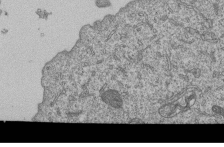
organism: Human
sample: MDA-MB-231 cells